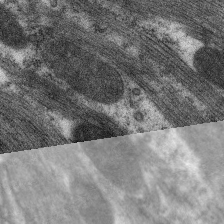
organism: C. elegans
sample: Pharynx